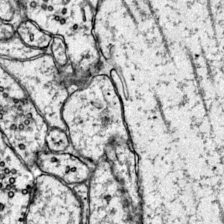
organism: Mouse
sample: Primary visual cortex